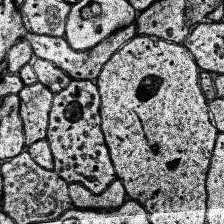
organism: Human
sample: Temporal Lobe